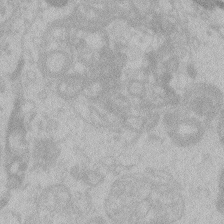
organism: Zebrafish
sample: Macrophage infected with Toxoplasma gondii